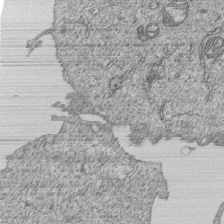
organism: Human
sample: MDA-MB-231 cells